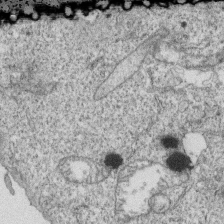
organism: Human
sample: HeLa cell HIV synapse